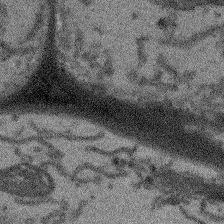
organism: Arabidopsis thaliana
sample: Root tip